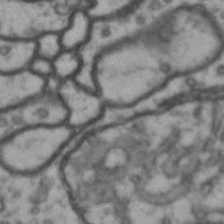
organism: Drosophila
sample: Brain